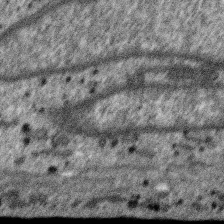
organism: Human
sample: Lung epithelial cells infected with SARS-CoV-2